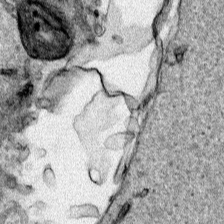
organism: Human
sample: Mitochondria in HCT116 cells